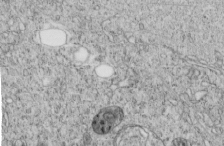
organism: C. elegans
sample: C. elegans embryo early stage